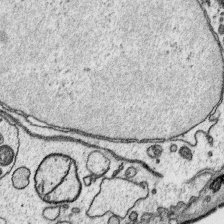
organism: Platynereis dumerilii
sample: Parapodia